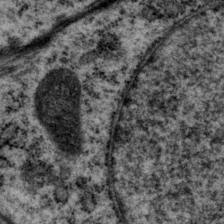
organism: P. pacificus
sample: Pharynx